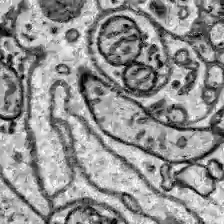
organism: Zebrafish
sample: Brain